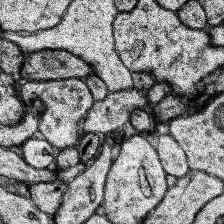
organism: Human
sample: Temporal Lobe